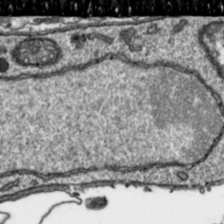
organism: Toxoplasma gondii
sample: Parasites in a vacuole inside a host cell